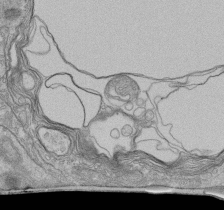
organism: Human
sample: Retinal organoid Rod and Cone cells